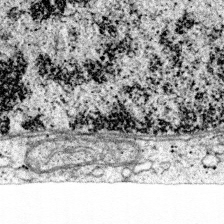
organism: Human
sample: HeLa cells